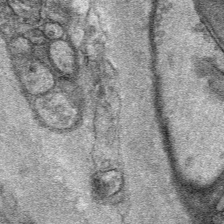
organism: Mouse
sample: Mouse Salivary gland